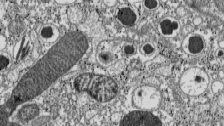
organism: C57BL Mouse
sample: Pancreatic islet